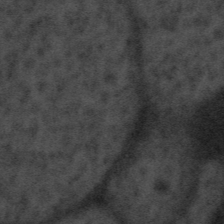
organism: Tuwongella immobilis